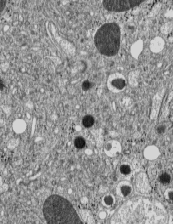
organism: C57BL Mouse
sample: Pancreatic islet